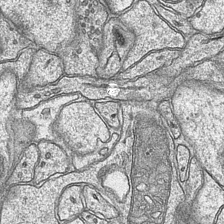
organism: Mouse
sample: CA1 Hippocampus